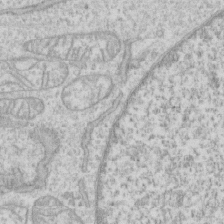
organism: Human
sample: CRL-1474